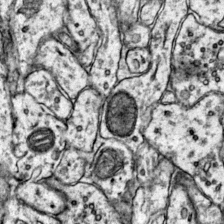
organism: Mouse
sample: Primary visual cortex